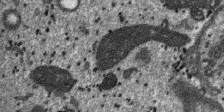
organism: Human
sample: Lung epithelial cells infected with SARS-CoV-2